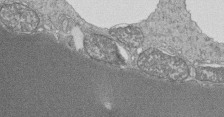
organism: Tetrahymena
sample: Cilia in tetrahymena